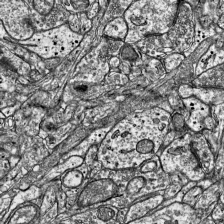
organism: Mouse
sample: Visual Cortex